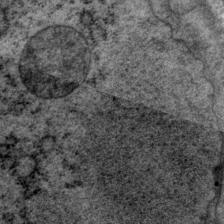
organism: P. pacificus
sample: Pharynx